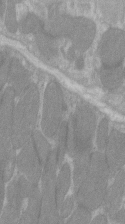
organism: C57BL Mouse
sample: Tibialis anterior muscle cell